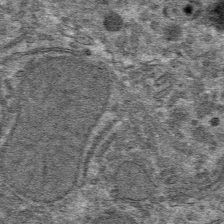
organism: Mouse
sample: Mouse hepatocytes